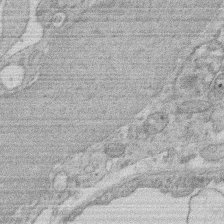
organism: Rat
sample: Salivary granule